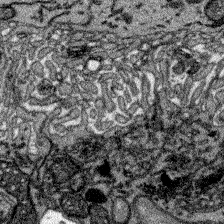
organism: Zebrafish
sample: Larval olfactory bulb